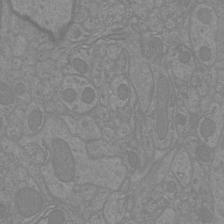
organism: Mouse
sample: Cortical neurons